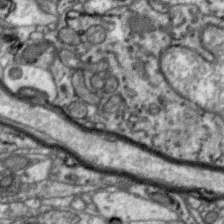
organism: Zebra finch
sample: Brain